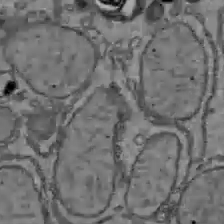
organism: C57BL Mouse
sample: Liver